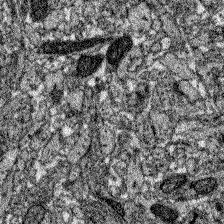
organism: Zebrafish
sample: Larval olfactory bulb